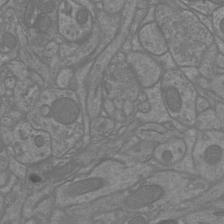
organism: Mouse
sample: Cortical neurons